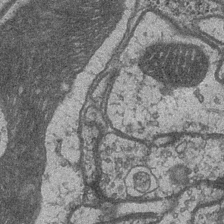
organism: Drosophila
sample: Optic medulla